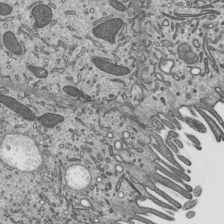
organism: Mouse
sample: Mouse epididymis efferent ductule cilia